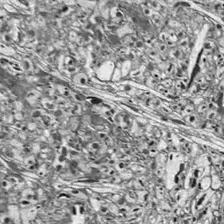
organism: Drosophila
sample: Optic lobe